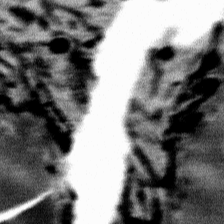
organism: Mouse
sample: Mouse Salivary gland